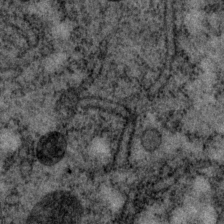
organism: P. pacificus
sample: Pharynx